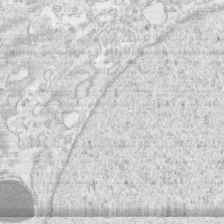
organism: Human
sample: CRL-1474